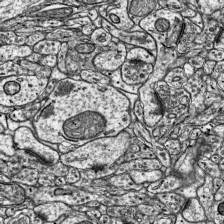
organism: Mouse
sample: Visual Cortex